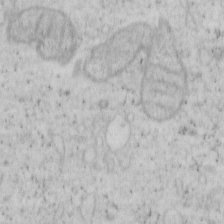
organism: Human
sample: HeLa cells